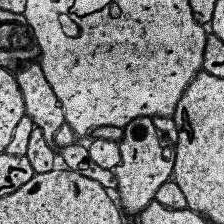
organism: Human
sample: Temporal Lobe